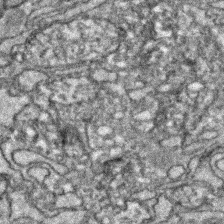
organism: Zebrafish